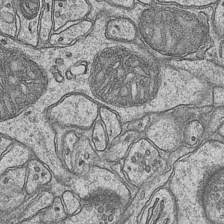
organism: Mouse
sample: CA1 Hippocampus